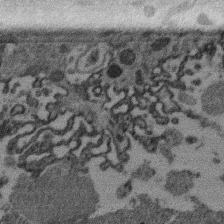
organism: Mouse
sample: Dividing mouse embryo 1 cell stage